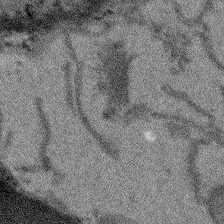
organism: Arabidopsis thaliana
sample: Root tip